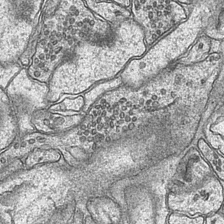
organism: Mouse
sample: CA1 Hippocampus